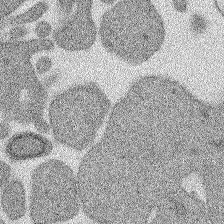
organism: Human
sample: HeLa cells